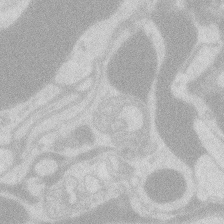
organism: Zebrafish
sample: Macrophage